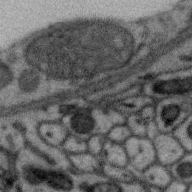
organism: Zebra finch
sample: Brain